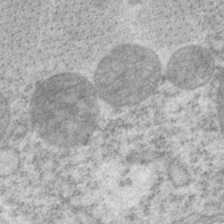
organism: P. pacificus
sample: Pharynx